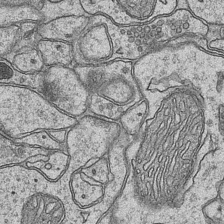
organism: Mouse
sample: CA1 Hippocampus